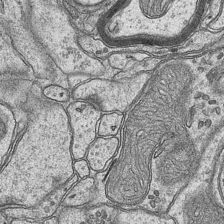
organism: Mouse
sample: CA1 Hippocampus